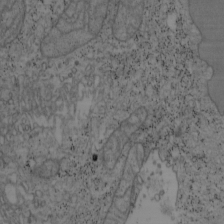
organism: Mouse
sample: OT-I killer T cells with ID8 ovarian cancer cells